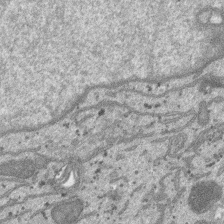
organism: Human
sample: Lung epithelial cells infected with SARS-CoV-2